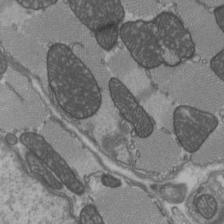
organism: C57BL Mouse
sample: Heart